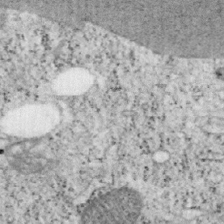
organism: Mouse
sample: OT-I killer T cells with ID8 ovarian cancer cells